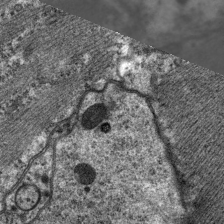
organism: C. elegans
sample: Pharynx